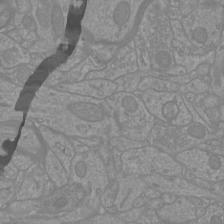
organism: Mouse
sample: Cortical neurons